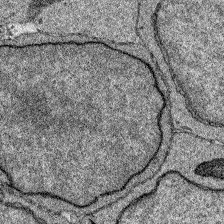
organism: Zebrafish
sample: Larval olfactory bulb